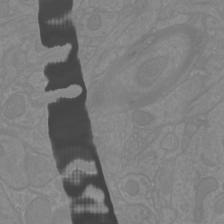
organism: Mouse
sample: Cortical neurons